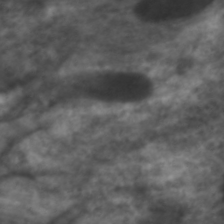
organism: C. elegans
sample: Pharynx